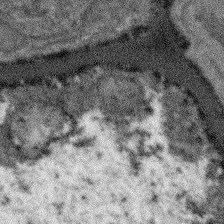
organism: Arabidopsis thaliana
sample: Root tip